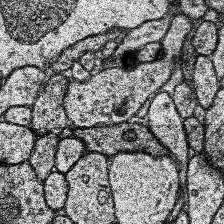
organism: Human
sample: Temporal Lobe